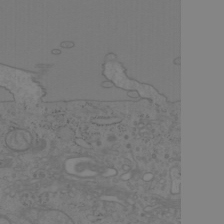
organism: Human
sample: HeLa cells